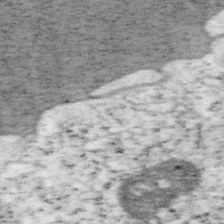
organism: Mouse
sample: OT-I killer T cells with ID8 ovarian cancer cells